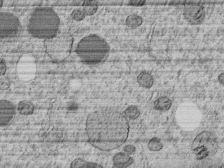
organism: C. elegans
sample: C. elegans embryo early stage